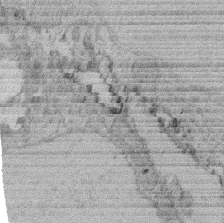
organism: Rat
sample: Salivary granule